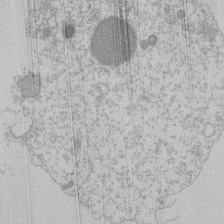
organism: Mouse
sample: Activated Pmel transgenic CD8+ T Cells